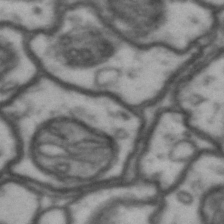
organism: Drosophila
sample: Brain